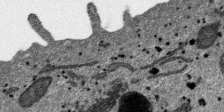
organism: Human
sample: Lung epithelial cells, uninfected (mock) control